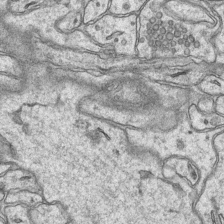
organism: Mouse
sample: CA1 Hippocampus